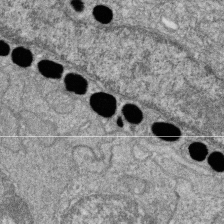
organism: Zebrafish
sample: Cilia; retinal pigment epithelium